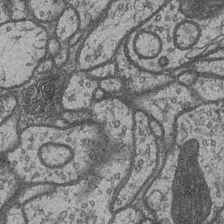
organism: Drosophila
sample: Optic medulla